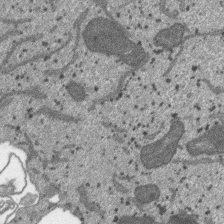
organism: Human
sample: Lung epithelial cells infected with SARS-CoV-2